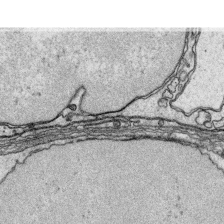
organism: Platynereis dumerilii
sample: Parapodia